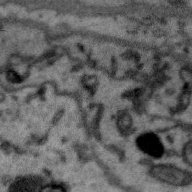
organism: Zebra finch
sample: Brain